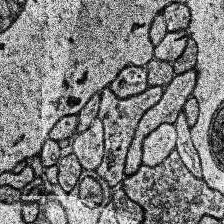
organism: Human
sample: Temporal Lobe